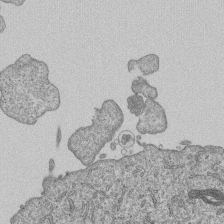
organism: Human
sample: MDA-MB-231 cells